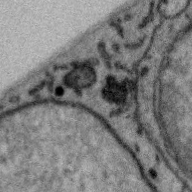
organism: Zebra finch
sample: Brain